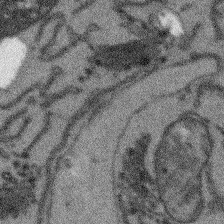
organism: Arabidopsis thaliana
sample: Root tip